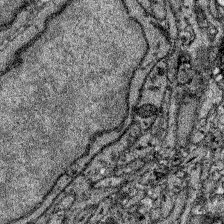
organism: Zebrafish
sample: Larval olfactory bulb